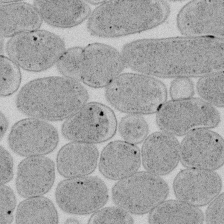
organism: E. coli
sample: Bacterial nucleoid